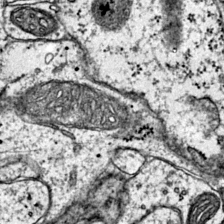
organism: Mouse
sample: Primary visual cortex